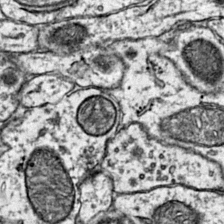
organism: Mouse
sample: Primary visual cortex